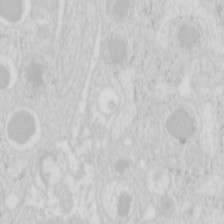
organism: Mouse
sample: Pancreas